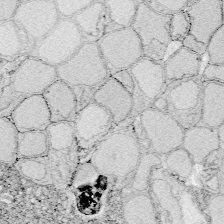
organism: Zebrafish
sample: Whole-Brain